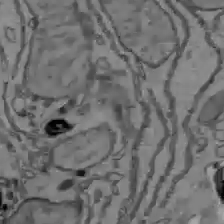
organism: C57BL Mouse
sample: Liver